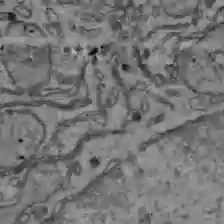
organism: C57BL Mouse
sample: Liver